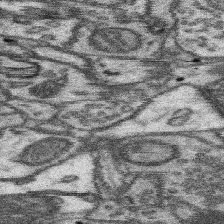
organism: Mouse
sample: Somatosensory cortex neuropil